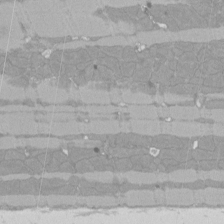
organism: Rat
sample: Left ventricle